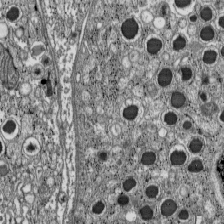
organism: C57BL Mouse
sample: Pancreatic islet